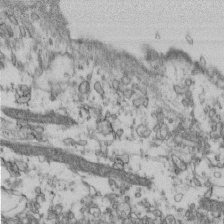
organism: Mouse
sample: Cilia; retinal pigment epithelium